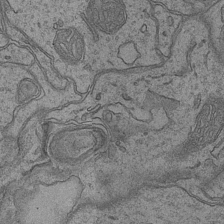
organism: Mouse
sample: CA1 Hippocampus